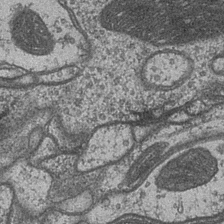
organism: Drosophila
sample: Optic medulla